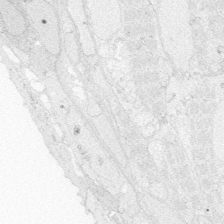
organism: Zebrafish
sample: Whole-Brain